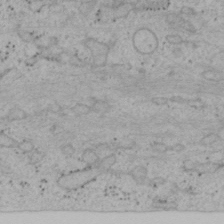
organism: Human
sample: HeLa cells